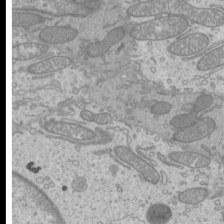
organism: Mouse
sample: Cilia; mouse epididymis